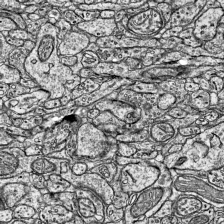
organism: Mouse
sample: Visual Cortex